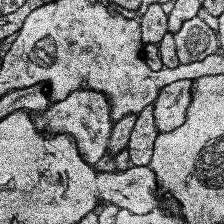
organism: Human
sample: Temporal Lobe